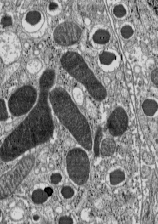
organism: C57BL Mouse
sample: Pancreatic islet